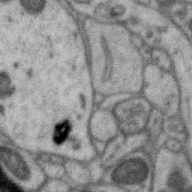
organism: Zebra finch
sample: Brain